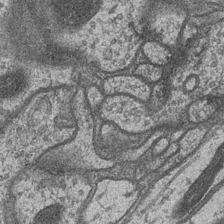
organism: Drosophila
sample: Optic medulla